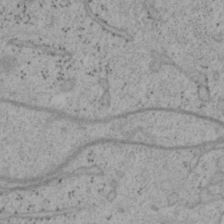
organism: Human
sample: HeLa cells